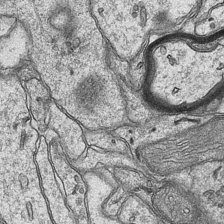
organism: Mouse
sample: CA1 Hippocampus